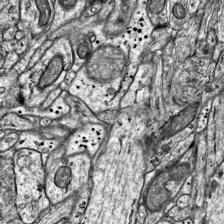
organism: Mouse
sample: Visual Cortex